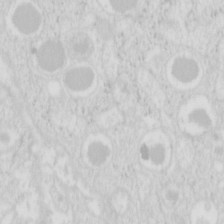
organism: Mouse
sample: Pancreas